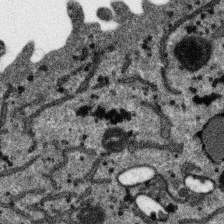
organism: Human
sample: Lung epithelial cells infected with SARS-CoV-2